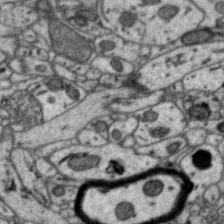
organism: Zebra finch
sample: Brain